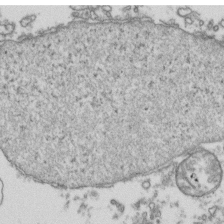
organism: Human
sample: Activated Jurkat CD4+ T cells